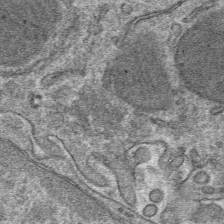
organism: Mouse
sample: Mouse hepatocytes